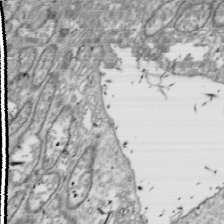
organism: Drosophila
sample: Cell division; meiosis; drosophila spermatocytes